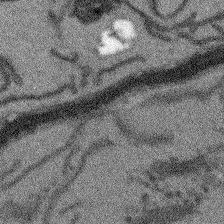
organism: Arabidopsis thaliana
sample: Root tip